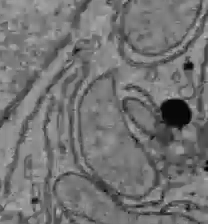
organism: C57BL Mouse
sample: Liver